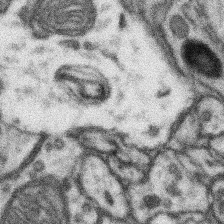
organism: Mouse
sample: Somatosensory cortex neuropil